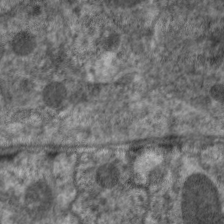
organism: C. elegans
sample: Pharynx